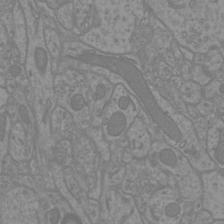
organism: Mouse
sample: Cortical neurons